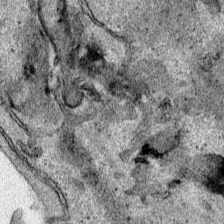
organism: Human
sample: Mitochondria in HCT116 cells